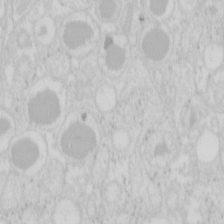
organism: Mouse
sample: Pancreas